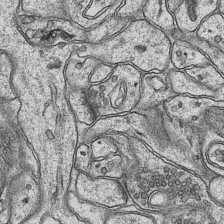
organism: Mouse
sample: CA1 Hippocampus